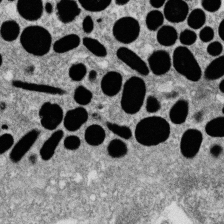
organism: Zebrafish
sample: Cilia; retinal pigment epithelium